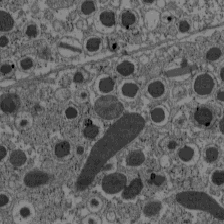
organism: C57BL Mouse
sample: Pancreatic islet